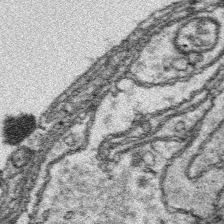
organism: Platynereis dumerilii